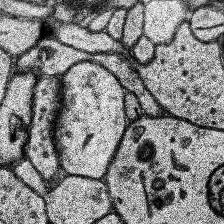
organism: Human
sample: Temporal Lobe